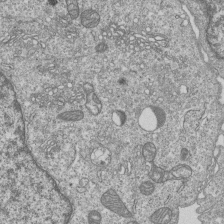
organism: Human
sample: MDA-MB-231 cells